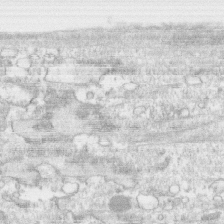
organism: Human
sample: CRL-1474